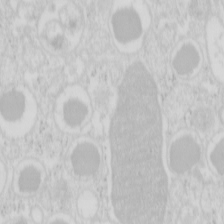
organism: Mouse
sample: Pancreas